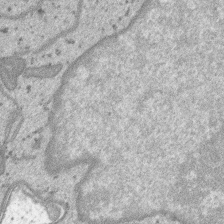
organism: Human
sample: Lung epithelial cells infected with SARS-CoV-2